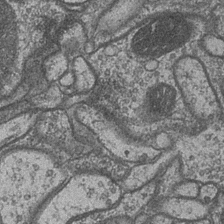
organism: Drosophila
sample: Optic medulla